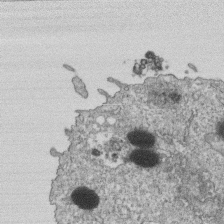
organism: Human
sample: HeLa cell HIV synapse